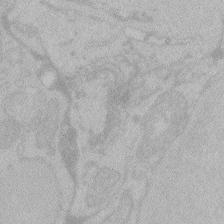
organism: Zebrafish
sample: Macrophage infected with Toxoplasma gondii